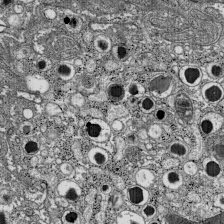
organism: C57BL Mouse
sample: Pancreatic islet